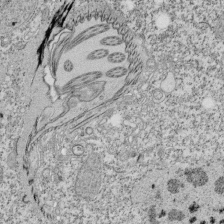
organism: Tetrahymena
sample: Cilia in tetrahymena